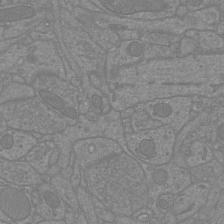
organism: Mouse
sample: Cortical neurons